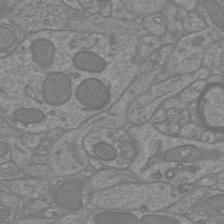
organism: Mouse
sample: Cortical neurons